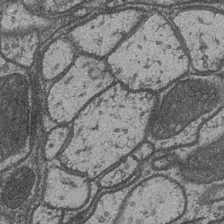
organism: Drosophila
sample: Optic medulla